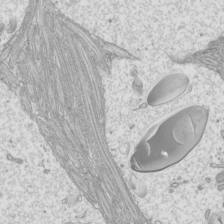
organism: Mouse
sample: Cilia; mouse epididymis